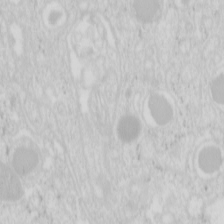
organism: Mouse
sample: Pancreas